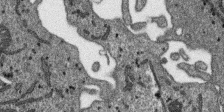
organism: Human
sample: Lung epithelial cells infected with SARS-CoV-2